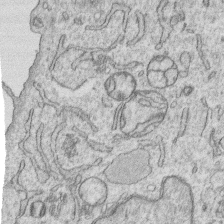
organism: Human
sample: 1205lu cells